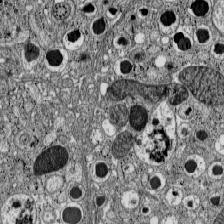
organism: C57BL Mouse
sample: Pancreatic islet